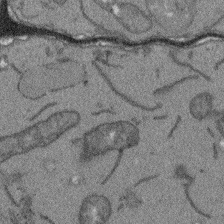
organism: Arabidopsis thaliana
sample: Root tip